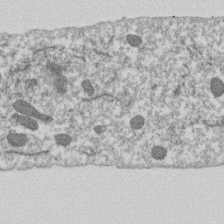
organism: Dictyostelium discoideum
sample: Dictyostelium multivesicular bodies